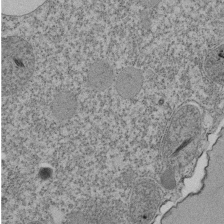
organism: Tetrahymena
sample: Cilia in tetrahymena